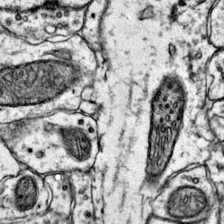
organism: Mouse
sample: Primary visual cortex